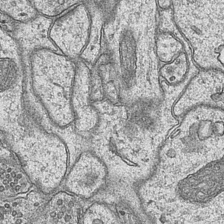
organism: Mouse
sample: CA1 Hippocampus